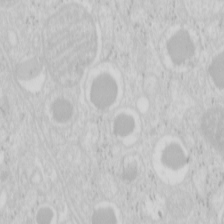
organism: Mouse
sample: Pancreas